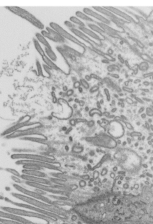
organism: Mouse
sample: Mouse epididymis efferent ductule cilia